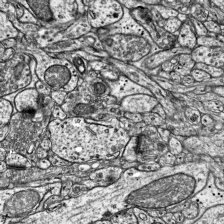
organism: Mouse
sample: Visual Cortex